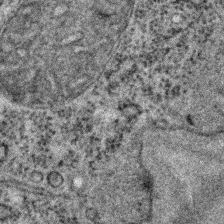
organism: C. elegans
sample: C. elegans embryo